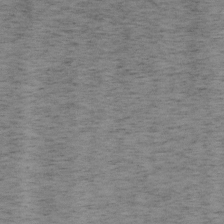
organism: Mouse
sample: OT-I killer T cells with ID8 ovarian cancer cells